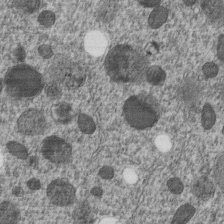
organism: C. elegans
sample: C. elegans embryo early stage